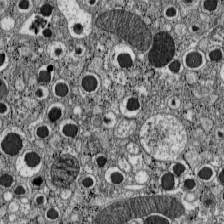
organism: C57BL Mouse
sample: Pancreatic islet